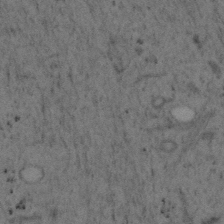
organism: Human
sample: HeLa cells